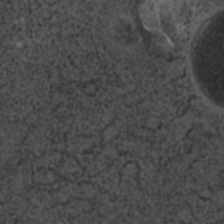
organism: C. elegans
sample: C. elegans embryo